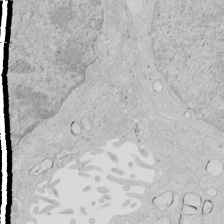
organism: Human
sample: Mitochondria in HCT116 cells